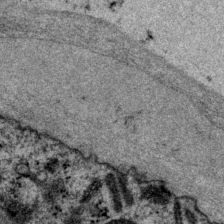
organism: P. pacificus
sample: Pharynx